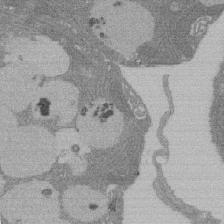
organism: Rat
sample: Salivary granule